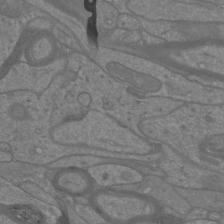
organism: Mouse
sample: Cortical neurons